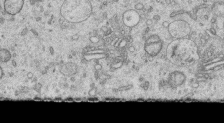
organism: Human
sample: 1205lu cells